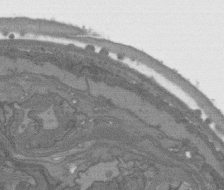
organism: C. elegans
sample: AFD neurons C. elegans